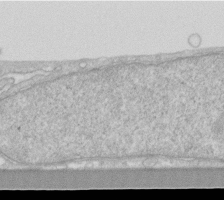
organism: Human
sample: Fibroblast cells